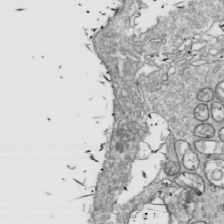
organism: Drosophila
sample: Cell division; meiosis; drosophila spermatocytes